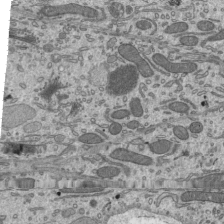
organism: Mouse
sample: Mouse epididymis efferent ductule cilia